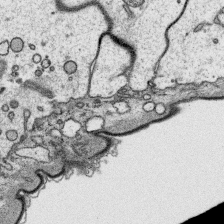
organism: Platynereis dumerilii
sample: Parapodia